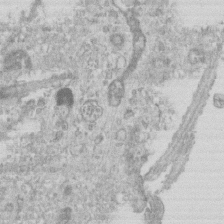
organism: Mouse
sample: Centriole in ependymal cells